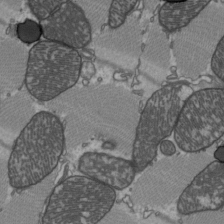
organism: C57BL Mouse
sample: Heart